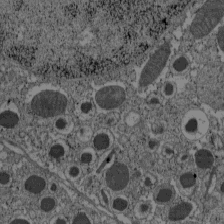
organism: C57BL Mouse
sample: Pancreatic islet